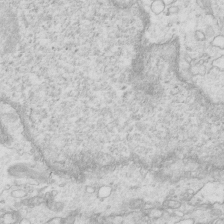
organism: Mouse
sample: Multiciliated cells